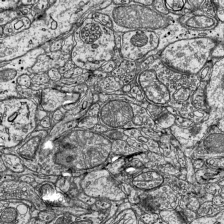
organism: Mouse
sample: Visual Cortex